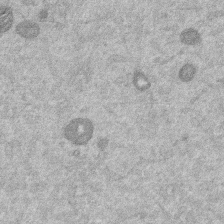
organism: Mouse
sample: Dividing mouse embryo 1 cell stage